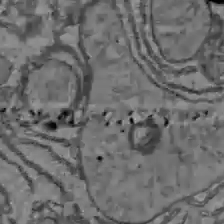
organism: C57BL Mouse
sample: Liver